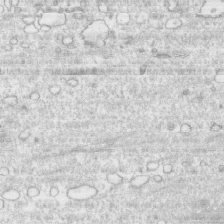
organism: Human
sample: CRL-1474